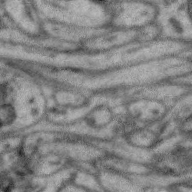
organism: Zebra finch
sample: Brain